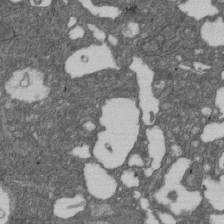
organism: Drosophila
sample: Nephrocyte